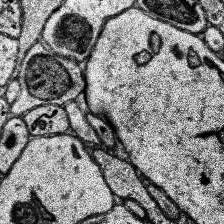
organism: Human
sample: Temporal Lobe